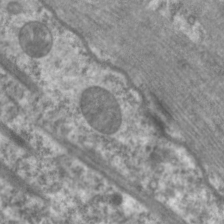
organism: C. elegans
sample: Pharynx